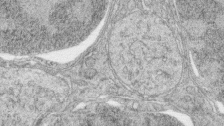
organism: Zebrafish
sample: synaptic ribbons in rod cells and cone cells